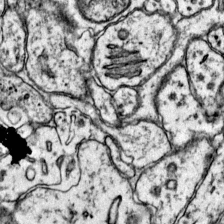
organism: Mouse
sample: Primary visual cortex